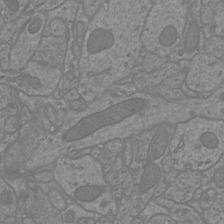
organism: Mouse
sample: Cortical neurons